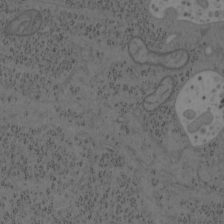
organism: Mouse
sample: OT-I killer T cells with ID8 ovarian cancer cells